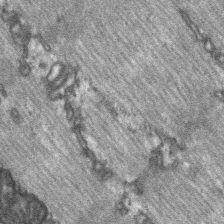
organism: C57BL Mouse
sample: Soleus